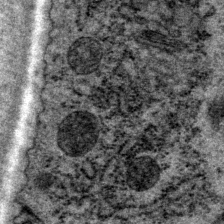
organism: P. pacificus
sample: Pharynx